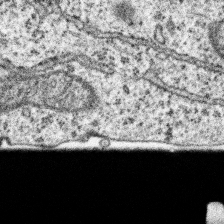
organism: Human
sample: HeLa cells